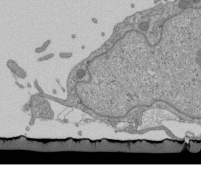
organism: Mouse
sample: ED-1 cell nuclei; centrioles